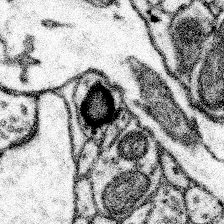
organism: Mouse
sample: Somatosensory cortex neuropil